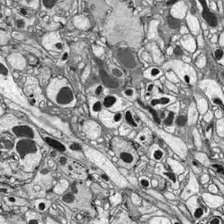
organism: Drosophila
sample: Optic lobe